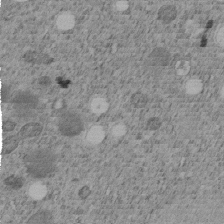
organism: C. elegans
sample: C. elegans embryo early stage